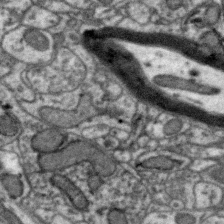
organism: Zebra finch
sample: Brain